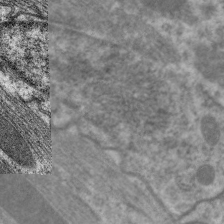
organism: C. elegans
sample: Pharynx